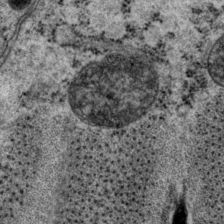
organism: P. pacificus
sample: Pharynx